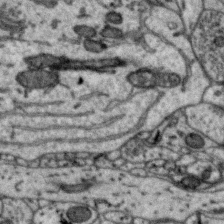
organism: Zebra finch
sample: Brain